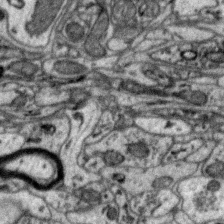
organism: Zebra finch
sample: Brain